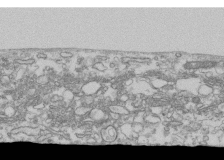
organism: Human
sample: Fibroblast cells